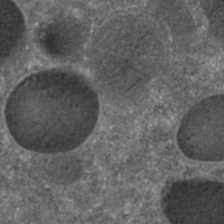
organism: C. elegans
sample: C. elegans embryo